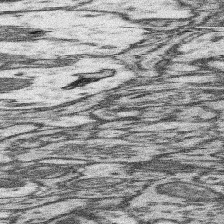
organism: Mouse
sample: Somatosensory cortex neuropil